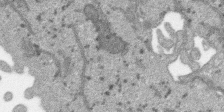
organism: Human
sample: Lung epithelial cells infected with SARS-CoV-2